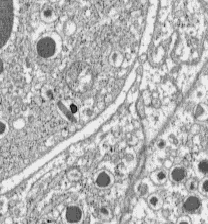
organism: C57BL Mouse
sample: Pancreatic islet